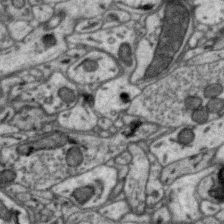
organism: Zebra finch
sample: Brain